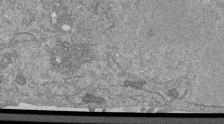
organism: Mouse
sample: ED-1 cell nuclei; centrioles